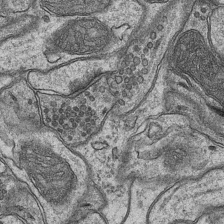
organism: Mouse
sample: CA1 Hippocampus